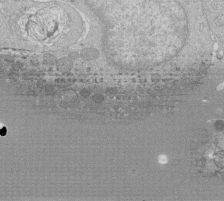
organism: Human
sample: Macrophage cells